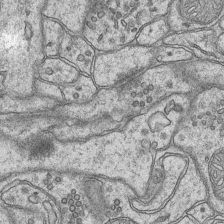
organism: Mouse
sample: CA1 Hippocampus